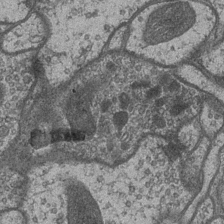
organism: Drosophila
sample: Optic medulla